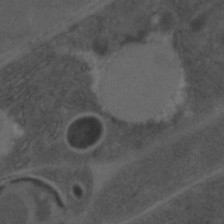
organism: C. elegans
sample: C. elegans embryo